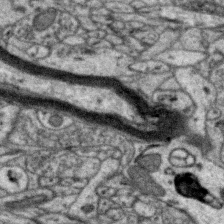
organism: Zebra finch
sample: Brain